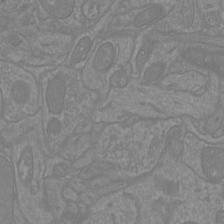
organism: Mouse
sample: Cortical neurons